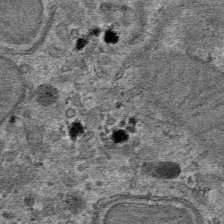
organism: Mouse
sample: Mouse hepatocytes